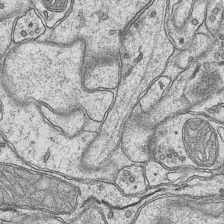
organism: Mouse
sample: CA1 Hippocampus